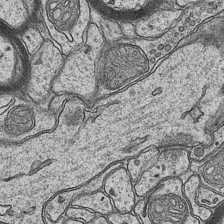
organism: Mouse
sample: CA1 Hippocampus